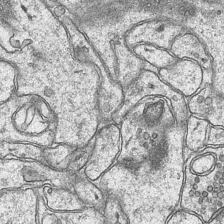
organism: Mouse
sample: CA1 Hippocampus